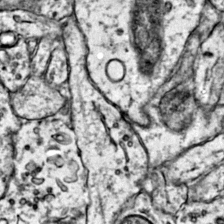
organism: Mouse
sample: Primary visual cortex